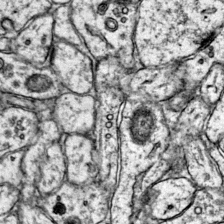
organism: Mouse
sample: Primary visual cortex